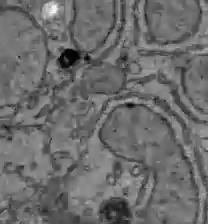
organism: C57BL Mouse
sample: Liver